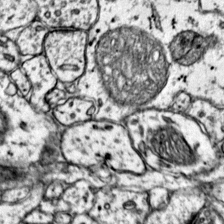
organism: Mouse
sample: Primary visual cortex